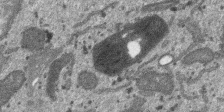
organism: Human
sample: Lung epithelial cells infected with SARS-CoV-2